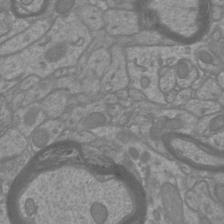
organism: Mouse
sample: Cortical neurons